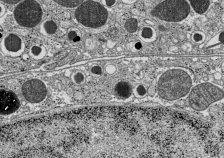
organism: C57BL Mouse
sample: Pancreatic islet